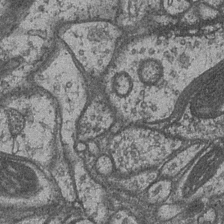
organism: Drosophila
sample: Optic medulla